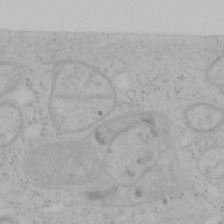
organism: Mouse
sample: OT-I killer T cells with ID8 ovarian cancer cells